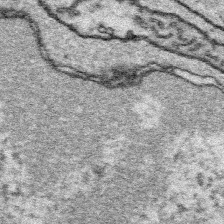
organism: Platynereis dumerilii